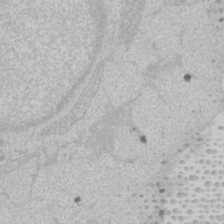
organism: Human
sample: Mitochondria in U2OS cells